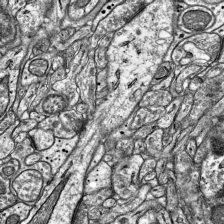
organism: Mouse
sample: Visual Cortex